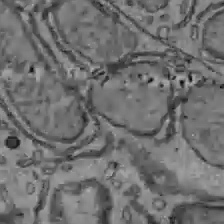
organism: C57BL Mouse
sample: Liver